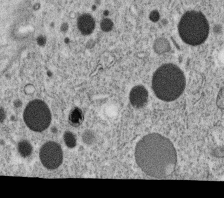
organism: C. elegans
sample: C. elegans oocyte; sperm cells